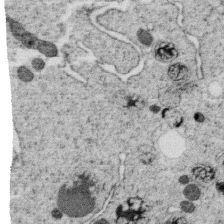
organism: C. elegans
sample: C. elegans oocyte; sperm cells